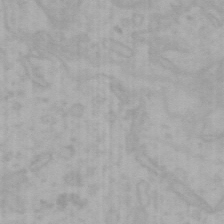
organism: Mouse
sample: Choroid plexus